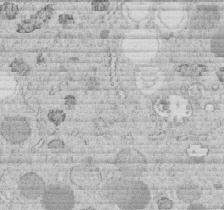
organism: C. elegans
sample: C. elegans embryo early stage